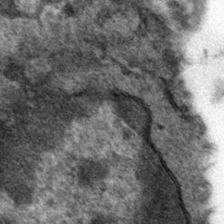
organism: Mouse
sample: Mouse hepatocytes